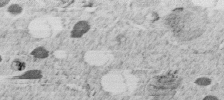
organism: C. elegans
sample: C. elegans embryo early stage